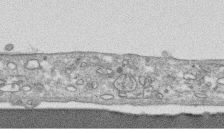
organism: Human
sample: CRL-1474